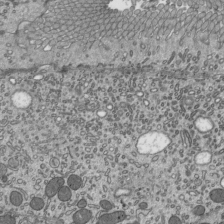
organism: Mouse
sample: Mouse epididymis efferent ductule cilia